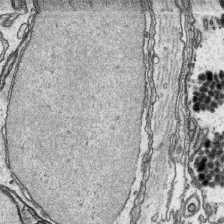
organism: Platynereis dumerilii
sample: Parapodia